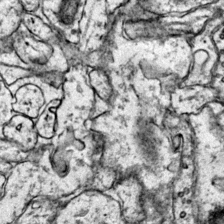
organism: Mouse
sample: Primary visual cortex